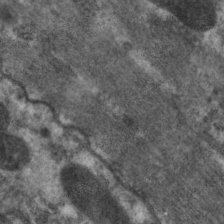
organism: C. elegans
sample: Pharynx